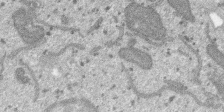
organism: Human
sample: Lung epithelial cells infected with SARS-CoV-2